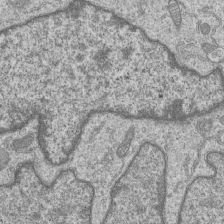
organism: Human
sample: MDA-MB-231 cells